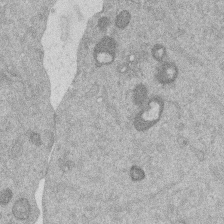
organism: Mouse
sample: Dividing mouse embryo 1 cell stage